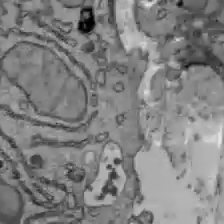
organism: C57BL Mouse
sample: Liver